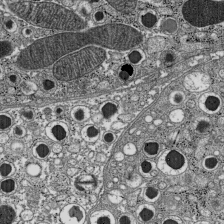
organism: C57BL Mouse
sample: Pancreatic islet